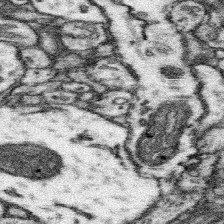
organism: Mouse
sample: Somatosensory cortex neuropil